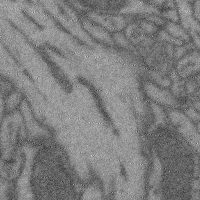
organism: Mouse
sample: Cerebral cortex